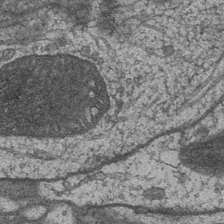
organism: Drosophila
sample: Optic medulla